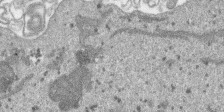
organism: Human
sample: Lung epithelial cells infected with SARS-CoV-2